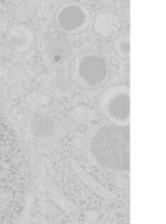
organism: Mouse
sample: Pancreas